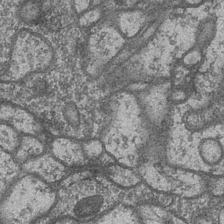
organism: Drosophila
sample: Optic medulla